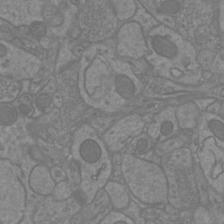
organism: Mouse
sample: Cortical neurons